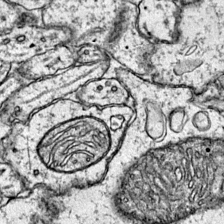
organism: Mouse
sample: Primary visual cortex